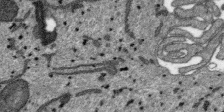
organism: Human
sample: Lung epithelial cells, uninfected (mock) control